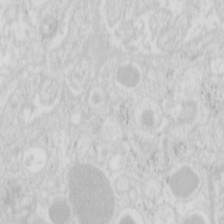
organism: Mouse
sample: Pancreas